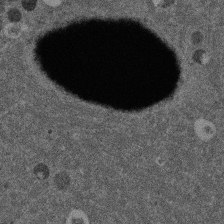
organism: Mouse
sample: Dividing mouse embryo 1 cell stage